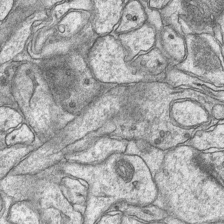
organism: Mouse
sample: CA1 Hippocampus